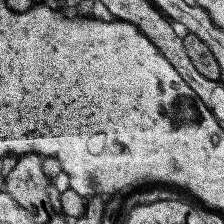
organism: Human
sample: Temporal Lobe